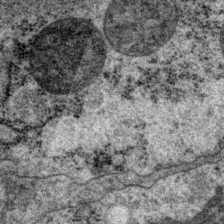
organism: P. pacificus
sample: Pharynx